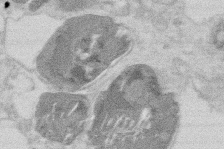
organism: Mouse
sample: T cell stromal cell synapse